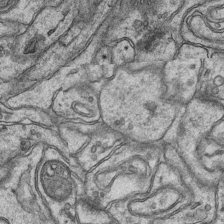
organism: Mouse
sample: CA1 Hippocampus